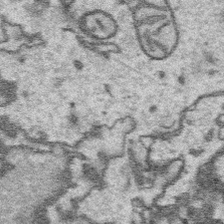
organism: Platynereis dumerilii